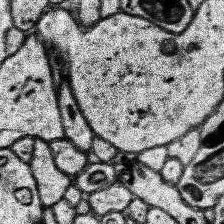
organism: Human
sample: Temporal Lobe